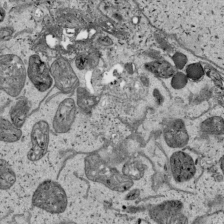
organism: Human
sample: Mitochondria in HCT116 cells